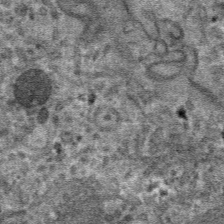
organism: Mouse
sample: Mouse hepatocytes